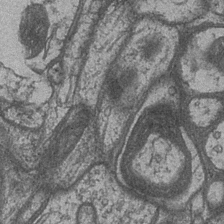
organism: Drosophila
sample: Optic medulla